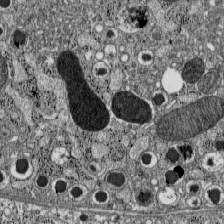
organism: C57BL Mouse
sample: Pancreatic islet